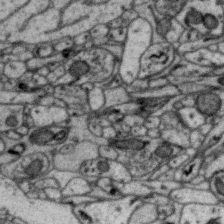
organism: Zebra finch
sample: Brain